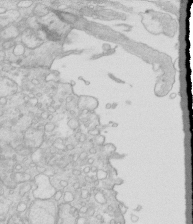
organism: Mouse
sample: Multiciliated cells